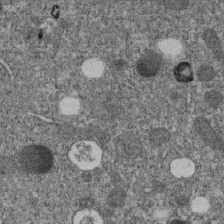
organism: C. elegans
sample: C. elegans embryo early stage